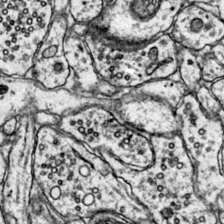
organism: Mouse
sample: Primary visual cortex